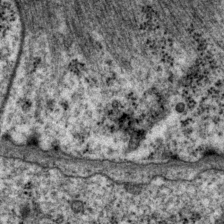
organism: P. pacificus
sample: Pharynx